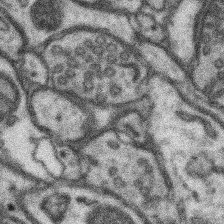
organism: Mouse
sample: Somatosensory cortex neuropil